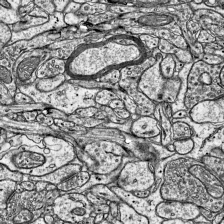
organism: Mouse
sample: Visual Cortex